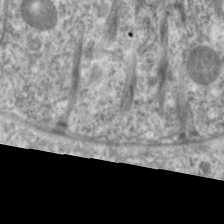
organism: C. elegans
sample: Pharynx